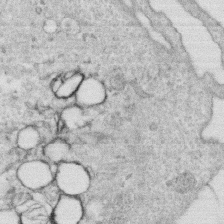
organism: Human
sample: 1205lu cells